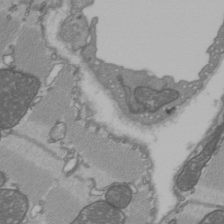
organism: C57BL Mouse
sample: Heart